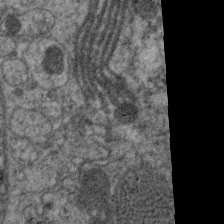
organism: C. elegans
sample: Pharynx